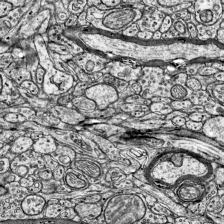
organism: Mouse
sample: Visual Cortex